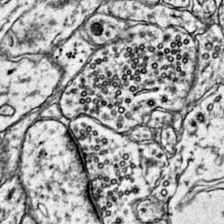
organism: Mouse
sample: Primary visual cortex